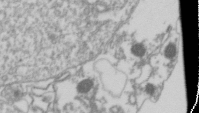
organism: Drosophila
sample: Cell division; meiosis; drosophila spermatocytes